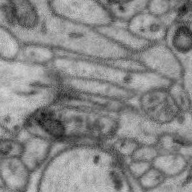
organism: Zebra finch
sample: Brain